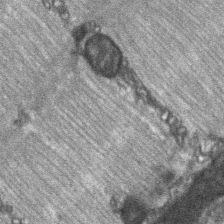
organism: C57BL Mouse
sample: Soleus